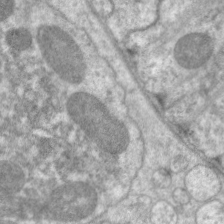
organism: C. elegans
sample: Pharynx